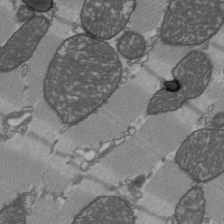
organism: C57BL Mouse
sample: Heart